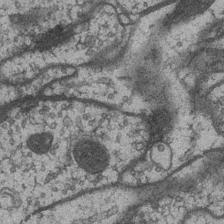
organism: Drosophila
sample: Optic medulla